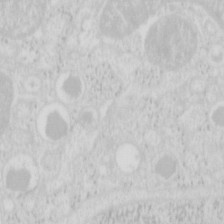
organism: Mouse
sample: Pancreas